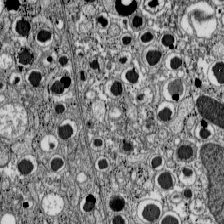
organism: C57BL Mouse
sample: Pancreatic islet